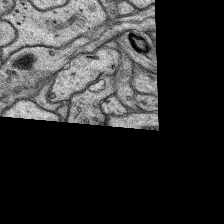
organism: Rat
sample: Hippocampus